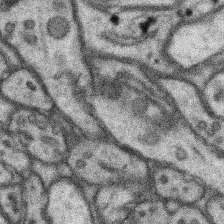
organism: Mouse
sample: Somatosensory cortex neuropil